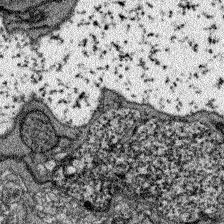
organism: Zebrafish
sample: Larval olfactory bulb